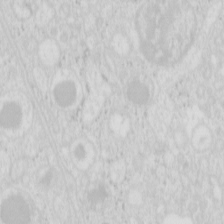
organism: Mouse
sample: Pancreas